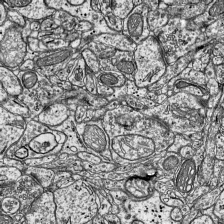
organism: Mouse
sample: Visual Cortex